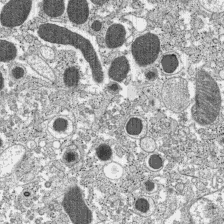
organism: C57BL Mouse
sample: Pancreatic islet